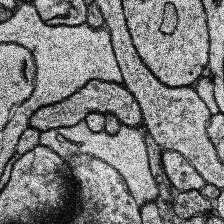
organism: Human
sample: Temporal Lobe